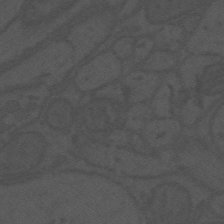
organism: Mouse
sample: Suprachiasmatic nucleus